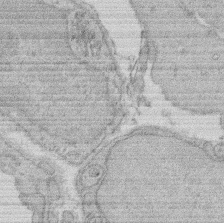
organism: Rat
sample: Salivary granule